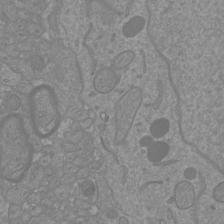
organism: Mouse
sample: Cortical neurons